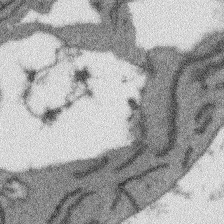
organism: Arabidopsis thaliana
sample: Root tip